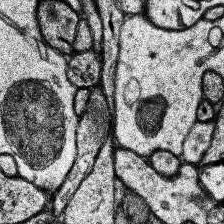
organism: Human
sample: Temporal Lobe